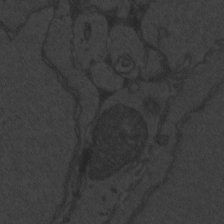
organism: Zebrafish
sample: Macrophage infected with Toxoplasma gondii